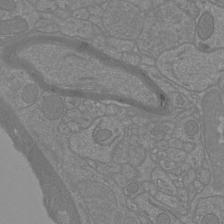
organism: Mouse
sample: Cortical neurons